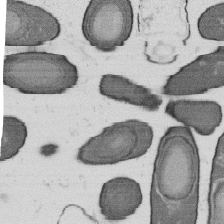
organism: B. subtilis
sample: Bacterial spore